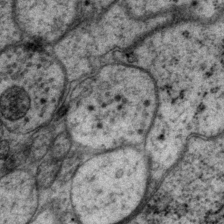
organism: P. pacificus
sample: Pharynx